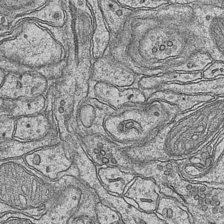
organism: Mouse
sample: CA1 Hippocampus